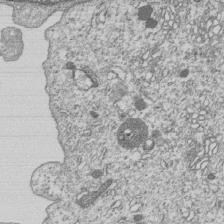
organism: Human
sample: MDA-MB-231 cells